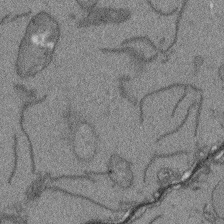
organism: Arabidopsis thaliana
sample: Root tip